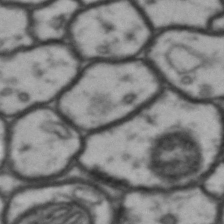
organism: Drosophila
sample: Brain